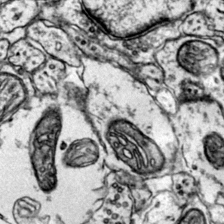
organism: Mouse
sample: Primary visual cortex